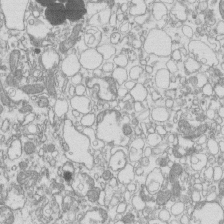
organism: Mouse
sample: Macrophages